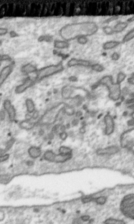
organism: Toxoplasma gondii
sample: Parasites in a vacuole inside a host cell